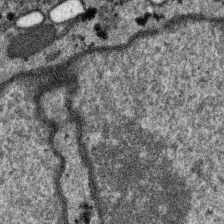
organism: Human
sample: Lung epithelial cells infected with SARS-CoV-2